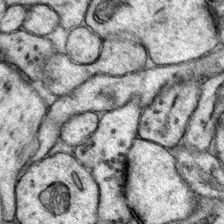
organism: Mouse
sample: Primary visual cortex